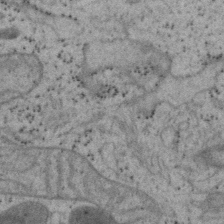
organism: Human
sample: HeLa cells